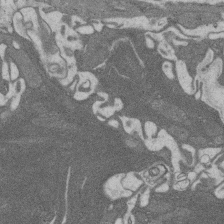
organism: Rat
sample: Salivary granule